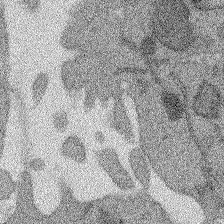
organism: Human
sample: HeLa cells